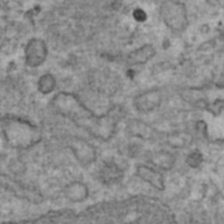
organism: Human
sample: Blood